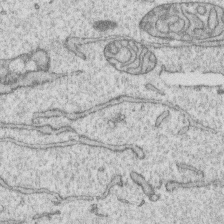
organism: Human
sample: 1205lu cells